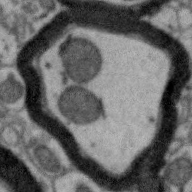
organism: Zebra finch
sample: Brain